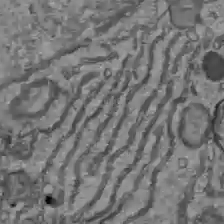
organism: C57BL Mouse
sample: Liver